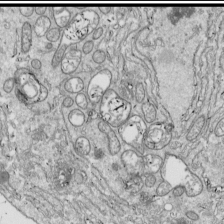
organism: Drosophila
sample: Cell division; meiosis; drosophila spermatocytes